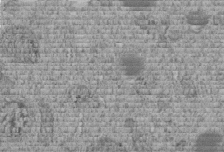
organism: C. elegans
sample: C. elegans embryo early stage